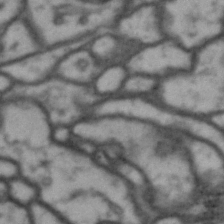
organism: Drosophila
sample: Brain